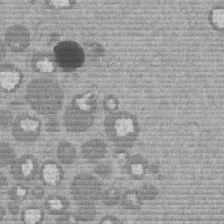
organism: Mouse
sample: Dividing mouse embryo 1 cell stage